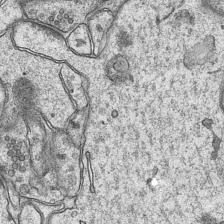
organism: Mouse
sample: CA1 Hippocampus